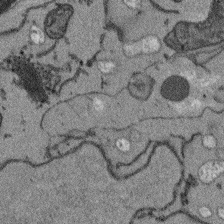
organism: Arabidopsis thaliana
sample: Root tip